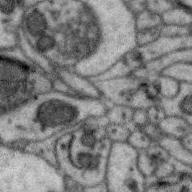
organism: Zebra finch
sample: Brain